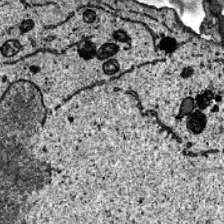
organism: Human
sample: HeLa cells